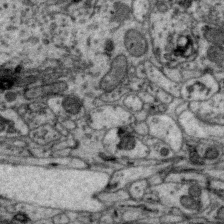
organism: Zebra finch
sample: Brain